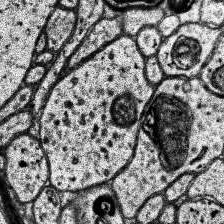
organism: Human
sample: Temporal Lobe